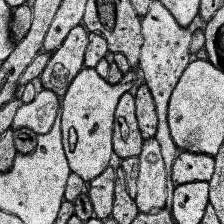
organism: Human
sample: Temporal Lobe